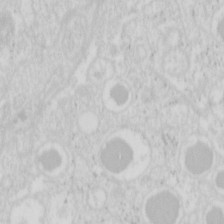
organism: Mouse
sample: Pancreas